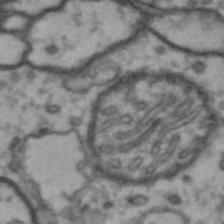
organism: Drosophila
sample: Brain